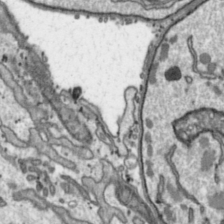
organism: Toxoplasma gondii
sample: Parasites in a vacuole inside a host cell